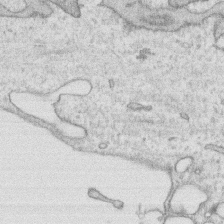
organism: Human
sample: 1205lu cells